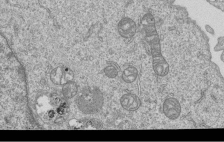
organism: Human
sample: MDA-MB-231 cells